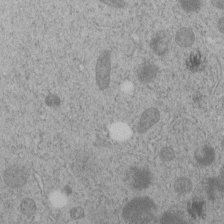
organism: C. elegans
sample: C. elegans embryo early stage